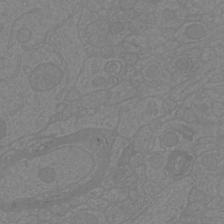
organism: Mouse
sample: Cortical neurons